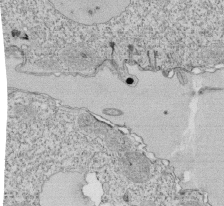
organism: Tetrahymena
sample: Cilia in tetrahymena